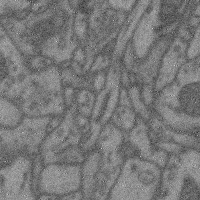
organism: Mouse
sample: Cerebral cortex